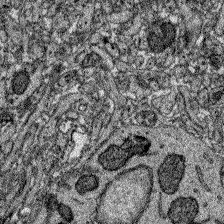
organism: Zebrafish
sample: Larval olfactory bulb